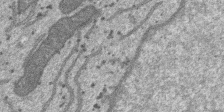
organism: Human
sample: Lung epithelial cells infected with SARS-CoV-2